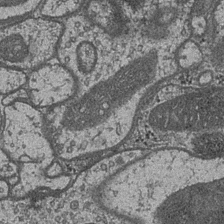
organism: Drosophila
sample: Optic medulla